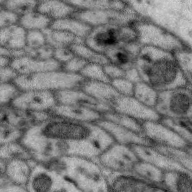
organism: Zebra finch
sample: Brain